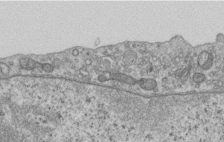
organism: Human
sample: Centriole in RPE cells